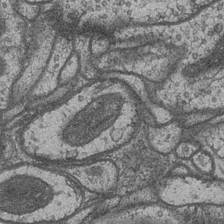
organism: Drosophila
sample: Optic medulla